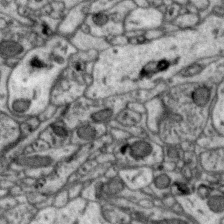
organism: Zebra finch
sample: Brain